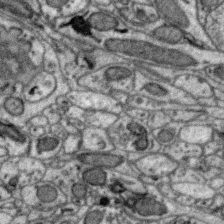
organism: Zebra finch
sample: Brain